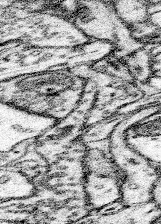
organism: Mouse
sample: Somatosensory cortex neuropil